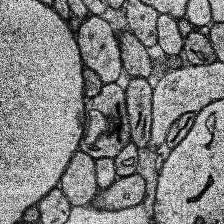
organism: Human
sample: Temporal Lobe